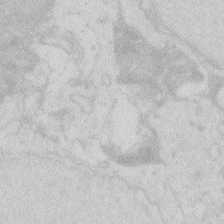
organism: Zebrafish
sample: Macrophage